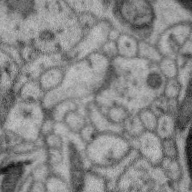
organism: Zebra finch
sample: Brain